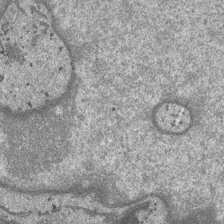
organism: Human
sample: Lung epithelial cells infected with SARS-CoV-2